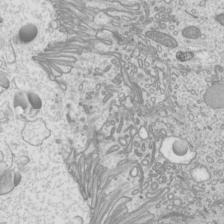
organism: Mouse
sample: Cilia; mouse epididymis